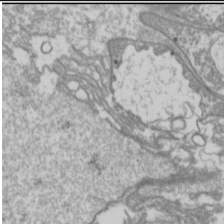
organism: Drosophila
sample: Cell division; meiosis; drosophila spermatocytes